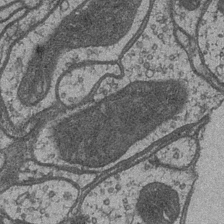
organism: Drosophila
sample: Optic medulla